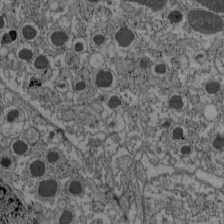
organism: C57BL Mouse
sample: Pancreatic islet